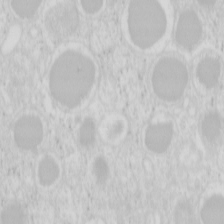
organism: Mouse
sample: Pancreas